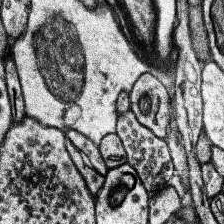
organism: Human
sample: Temporal Lobe